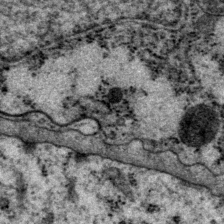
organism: P. pacificus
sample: Pharynx